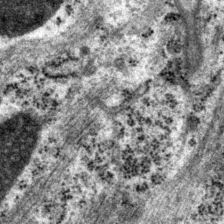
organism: P. pacificus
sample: Pharynx